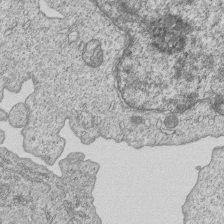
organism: Human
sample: MDA-MB-231 cells